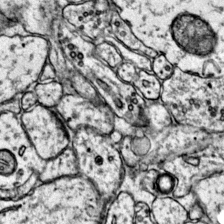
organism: Mouse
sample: Primary visual cortex